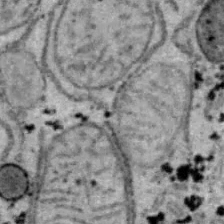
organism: Mouse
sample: Liver from an obese (ob/ob) mouse